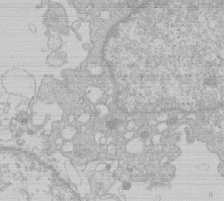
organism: Human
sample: Macrophage cells